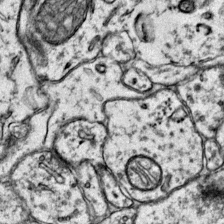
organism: Mouse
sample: Primary visual cortex